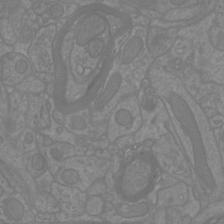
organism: Mouse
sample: Cortical neurons